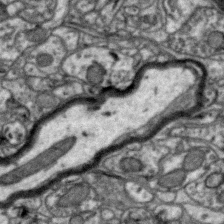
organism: Zebra finch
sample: Brain